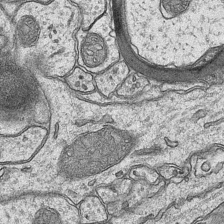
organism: Mouse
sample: CA1 Hippocampus